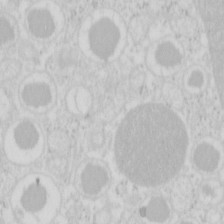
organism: Mouse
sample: Pancreas